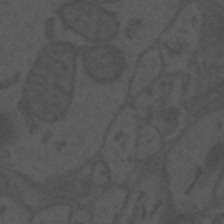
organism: Mouse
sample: Suprachiasmatic nucleus